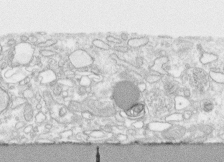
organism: Human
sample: CRL-1474